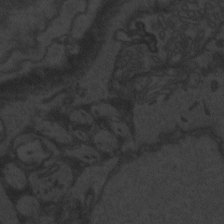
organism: Zebrafish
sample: Macrophage infected with Toxoplasma gondii